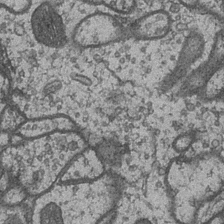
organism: Drosophila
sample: Optic medulla